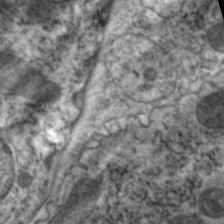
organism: C. elegans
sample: Pharynx